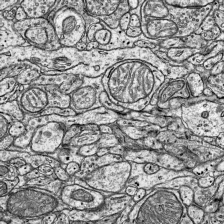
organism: Mouse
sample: Visual Cortex